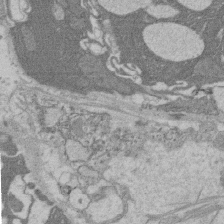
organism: Rat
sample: Salivary granule